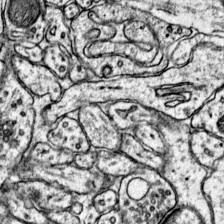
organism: Mouse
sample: Primary visual cortex